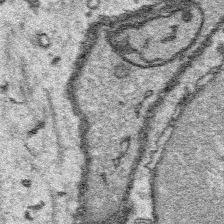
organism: Platynereis dumerilii